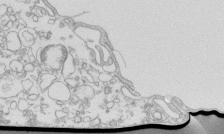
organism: Mouse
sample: Macrophages